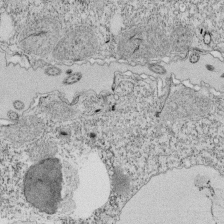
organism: Tetrahymena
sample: Cilia in tetrahymena